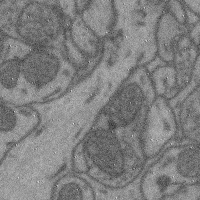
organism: Mouse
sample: Cerebral cortex